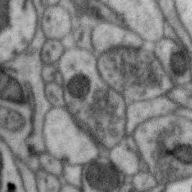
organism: Zebra finch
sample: Brain